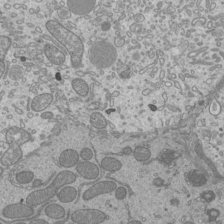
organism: Mouse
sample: Cilia; mouse epididymis